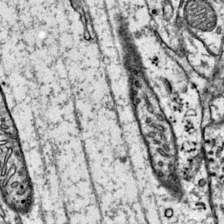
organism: Mouse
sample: Primary visual cortex